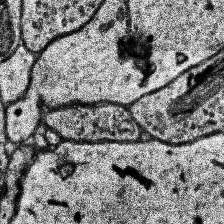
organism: Human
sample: Temporal Lobe